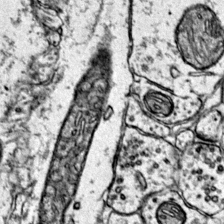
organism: Mouse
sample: Primary visual cortex